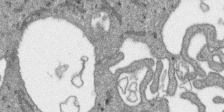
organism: Human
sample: Lung epithelial cells infected with SARS-CoV-2